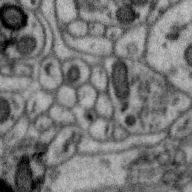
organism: Zebra finch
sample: Brain